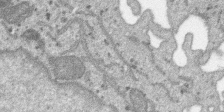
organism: Human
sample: Lung epithelial cells infected with SARS-CoV-2